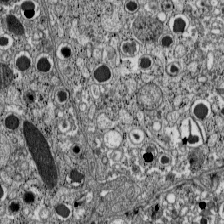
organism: C57BL Mouse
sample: Pancreatic islet